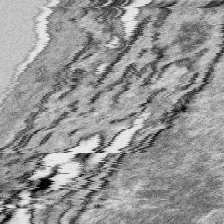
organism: Human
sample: HeLa cells